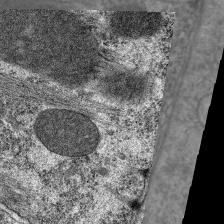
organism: C. elegans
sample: Pharynx